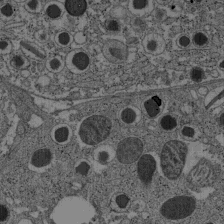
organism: C57BL Mouse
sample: Pancreatic islet